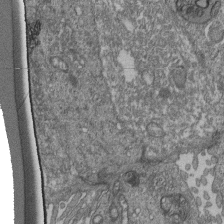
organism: Human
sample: Retinal organoid Rod and Cone cells